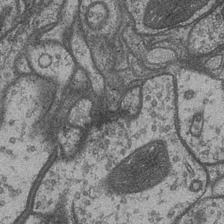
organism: Drosophila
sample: Optic medulla